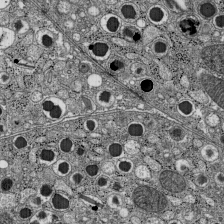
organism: C57BL Mouse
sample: Pancreatic islet